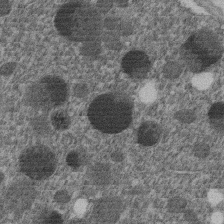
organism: C. elegans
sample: C. elegans embryo early stage